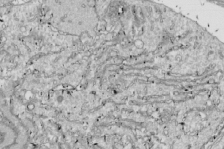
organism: Drosophila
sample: Cell division; meiosis; drosophila spermatocytes